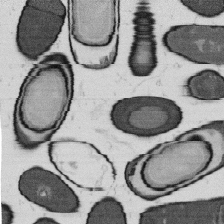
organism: B. subtilis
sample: Bacterial spore